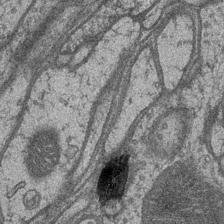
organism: Drosophila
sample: Optic medulla